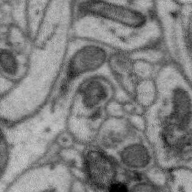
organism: Zebra finch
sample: Brain